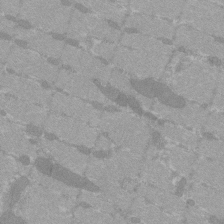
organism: C57BL Mouse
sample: Tibialis anterior muscle cell